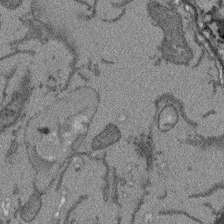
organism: Arabidopsis thaliana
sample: Root tip